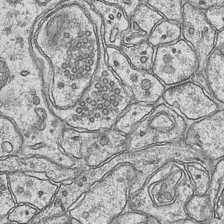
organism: Mouse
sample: CA1 Hippocampus